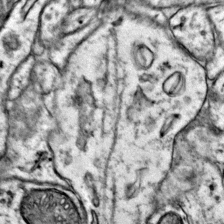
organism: Mouse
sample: Primary visual cortex